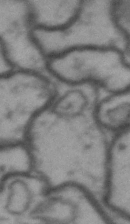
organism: Drosophila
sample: Brain